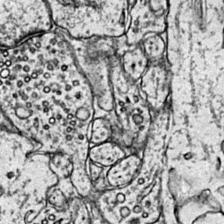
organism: Mouse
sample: Primary visual cortex